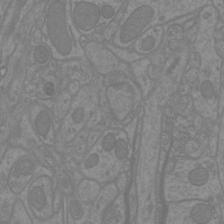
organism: Mouse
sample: Cortical neurons